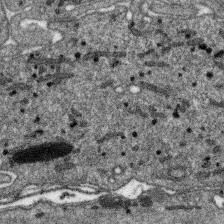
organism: Human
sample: Lung epithelial cells infected with SARS-CoV-2